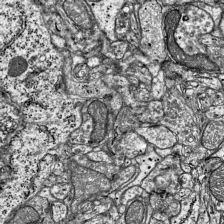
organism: Mouse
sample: Visual Cortex